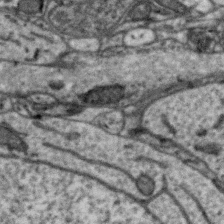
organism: Zebra finch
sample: Brain